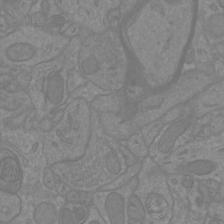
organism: Mouse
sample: Cortical neurons